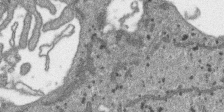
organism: Human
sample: Lung epithelial cells infected with SARS-CoV-2